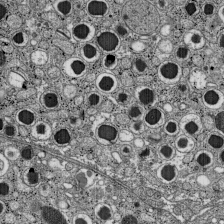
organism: C57BL Mouse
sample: Pancreatic islet